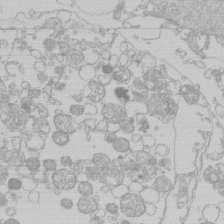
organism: Human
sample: Macrophage cells